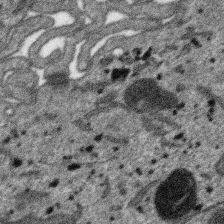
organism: Human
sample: Lung epithelial cells infected with SARS-CoV-2